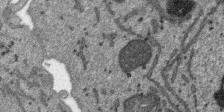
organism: Human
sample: Lung epithelial cells infected with SARS-CoV-2